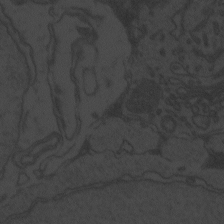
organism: Zebrafish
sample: Macrophage infected with Toxoplasma gondii